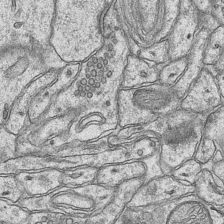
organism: Mouse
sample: CA1 Hippocampus